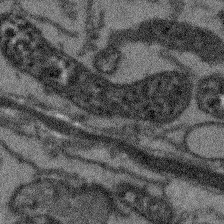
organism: Arabidopsis thaliana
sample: Root tip